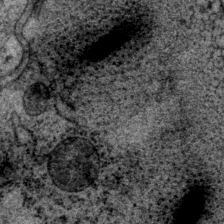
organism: P. pacificus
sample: Pharynx